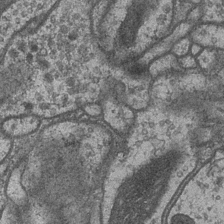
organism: Drosophila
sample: Optic medulla